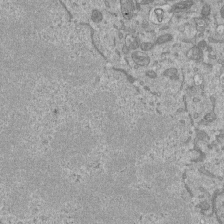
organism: Mouse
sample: ED-1 cell nuclei; centrioles